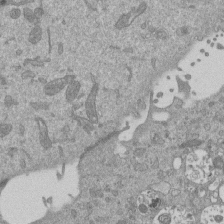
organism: Mouse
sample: ED-1 cell nuclei; centrioles